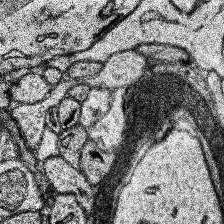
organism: Human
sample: Temporal Lobe